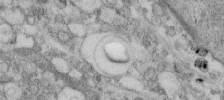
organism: Human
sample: Centriole in fibroblast cells